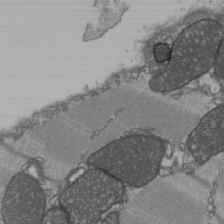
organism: C57BL Mouse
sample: Heart